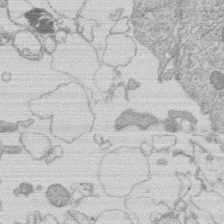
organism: Human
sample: Macrophage cells